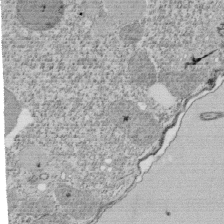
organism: Tetrahymena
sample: Cilia in tetrahymena